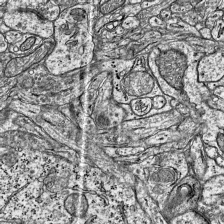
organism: Mouse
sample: Visual Cortex